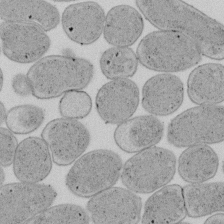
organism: E. coli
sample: Bacterial nucleoid